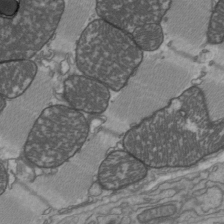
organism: C57BL Mouse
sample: Heart